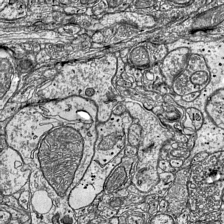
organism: Mouse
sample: Visual Cortex